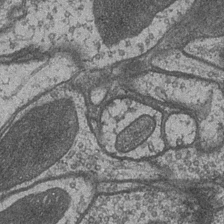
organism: Drosophila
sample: Optic medulla